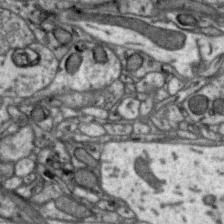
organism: Zebra finch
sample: Brain